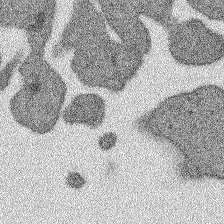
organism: Human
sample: HeLa cells